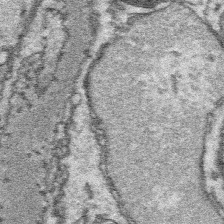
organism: Platynereis dumerilii